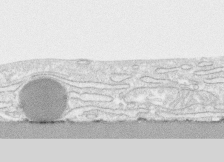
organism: Human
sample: CRL-1474